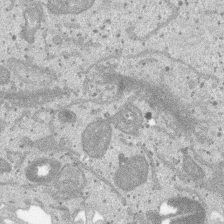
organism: Human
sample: Lung epithelial cells infected with SARS-CoV-2